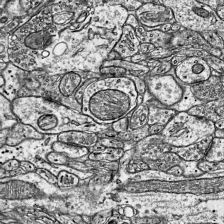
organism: Mouse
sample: Visual Cortex